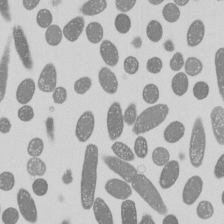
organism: E. coli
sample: Bacterial nucleoid